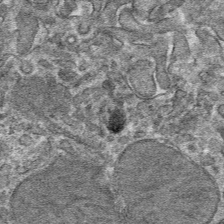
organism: Mouse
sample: Mouse hepatocytes